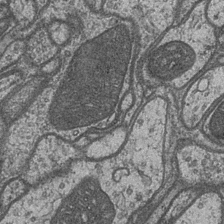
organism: Drosophila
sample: Optic medulla